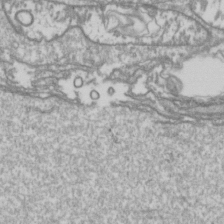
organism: Drosophila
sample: Cell division; meiosis; drosophila spermatocytes